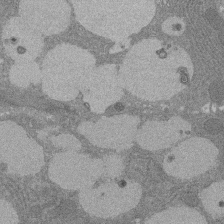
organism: Rat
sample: Salivary granule